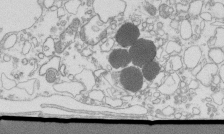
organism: Mouse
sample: Macrophages